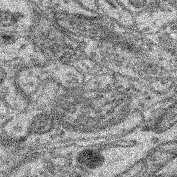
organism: Mouse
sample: Retina